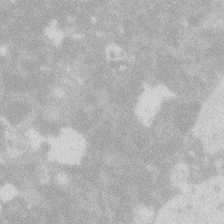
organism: Zebrafish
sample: Macrophage